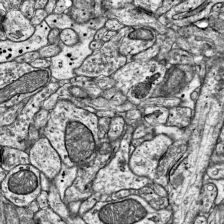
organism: Mouse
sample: Visual Cortex